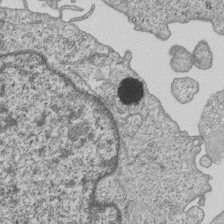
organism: Human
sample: MDA-MB-231 cells